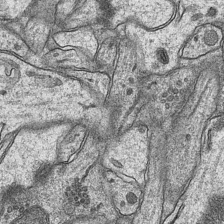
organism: Mouse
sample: CA1 Hippocampus